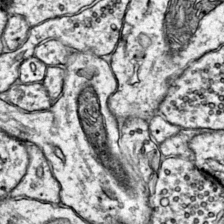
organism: Mouse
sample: Primary visual cortex